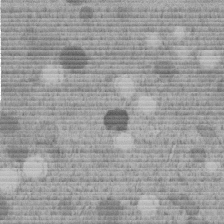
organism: C. elegans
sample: C. elegans embryo early stage